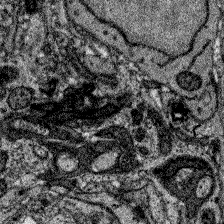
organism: Zebrafish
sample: Larval olfactory bulb